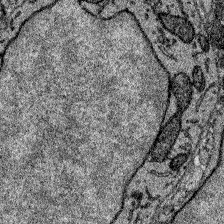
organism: Zebrafish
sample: Larval olfactory bulb